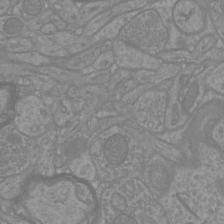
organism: Mouse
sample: Cortical neurons